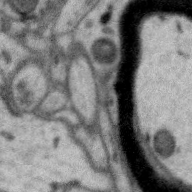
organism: Zebra finch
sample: Brain